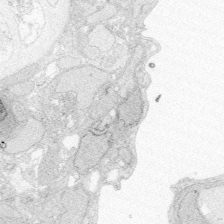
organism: Zebrafish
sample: Whole-Brain